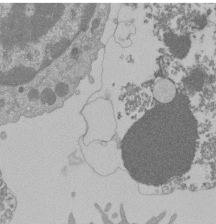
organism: Mouse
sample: Activated Pmel transgenic CD8+ T Cells